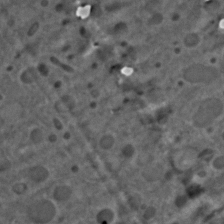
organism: C. elegans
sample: C. elegans embryo